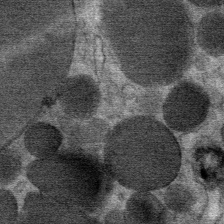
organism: Mouse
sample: Mouse Salivary gland